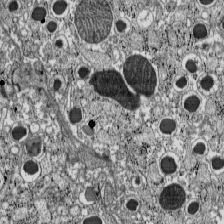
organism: C57BL Mouse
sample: Pancreatic islet